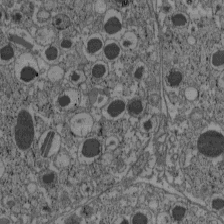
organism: C57BL Mouse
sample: Pancreatic islet